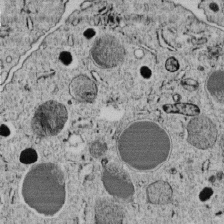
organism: C. elegans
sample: C. elegans embryo early stage